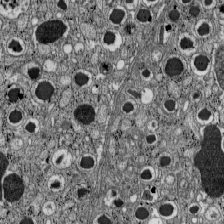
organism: C57BL Mouse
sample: Pancreatic islet